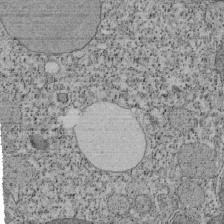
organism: Tetrahymena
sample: Cilia in tetrahymena